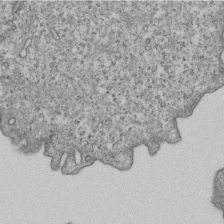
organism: Human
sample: MDA-MB-231 cells